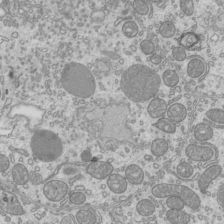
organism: Mouse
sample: Cilia; mouse epididymis